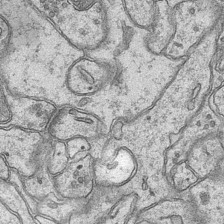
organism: Mouse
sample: CA1 Hippocampus